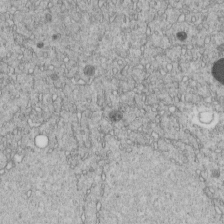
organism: C. elegans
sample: C. elegans embryo early stage